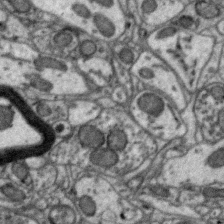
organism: Zebra finch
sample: Brain